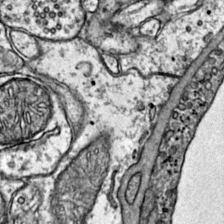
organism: Mouse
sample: Primary visual cortex